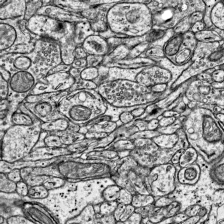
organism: Mouse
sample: Visual Cortex